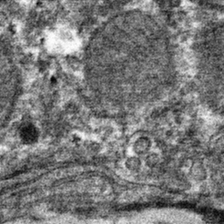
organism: Mouse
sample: Mouse hepatocytes